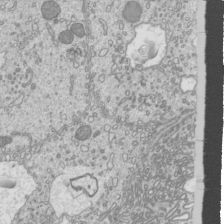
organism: Mouse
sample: Cilia; mouse epididymis